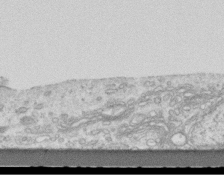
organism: Mouse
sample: Centriole in ependymal cells